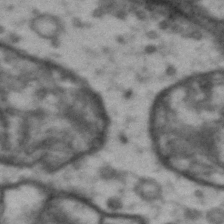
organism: Drosophila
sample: Brain